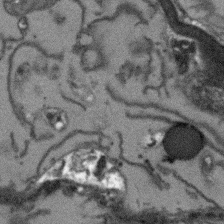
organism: Arabidopsis thaliana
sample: Root tip